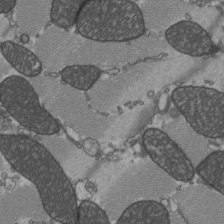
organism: C57BL Mouse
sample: Heart